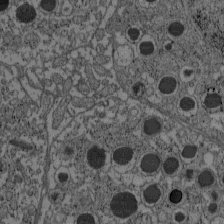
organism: C57BL Mouse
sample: Pancreatic islet